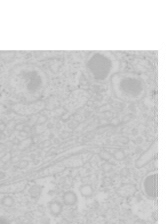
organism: Mouse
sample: Pancreas